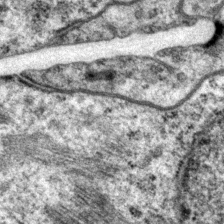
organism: P. pacificus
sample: Pharynx